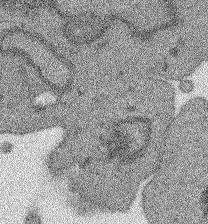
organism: Human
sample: HeLa cells